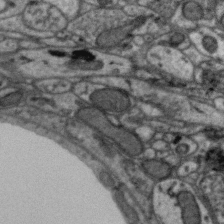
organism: Zebra finch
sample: Brain